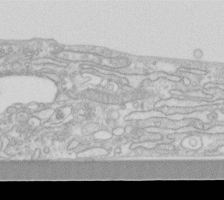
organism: Human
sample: Fibroblast cells